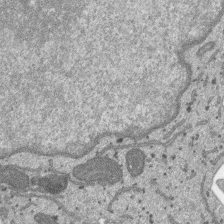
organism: Human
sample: Lung epithelial cells infected with SARS-CoV-2